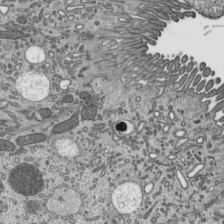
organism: Mouse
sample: Mouse epididymis efferent ductule cilia